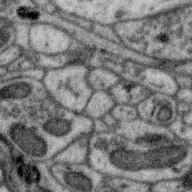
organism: Zebra finch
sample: Brain